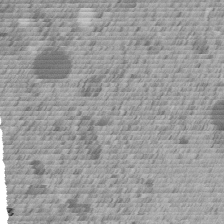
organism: C. elegans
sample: C. elegans embryo early stage